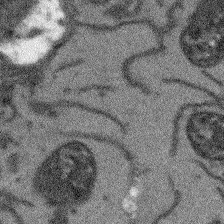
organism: Arabidopsis thaliana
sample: Root tip